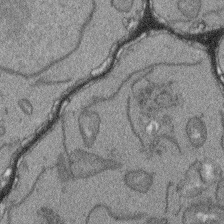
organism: Arabidopsis thaliana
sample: Root tip